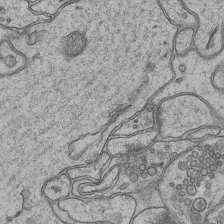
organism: Mouse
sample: CA1 Hippocampus